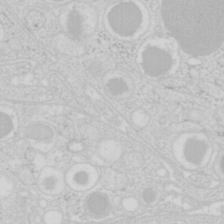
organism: Mouse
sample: Pancreas